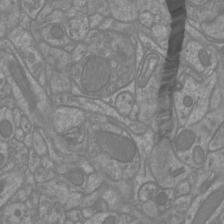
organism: Mouse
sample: Cortical neurons